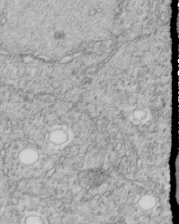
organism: C. elegans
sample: C. elegans embryo early stage